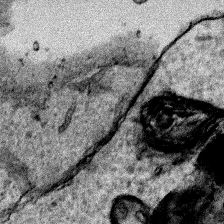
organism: Human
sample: Mitochondria in HCT116 cells